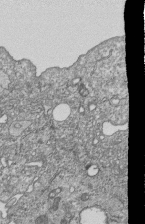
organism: Human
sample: MDA-MB-231 cells